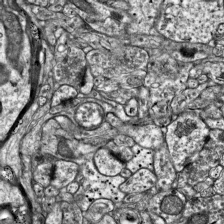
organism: Mouse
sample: Visual Cortex